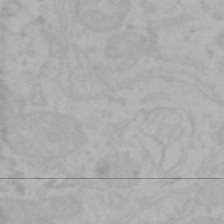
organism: Mouse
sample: Choroid plexus